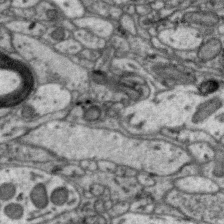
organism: Zebra finch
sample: Brain